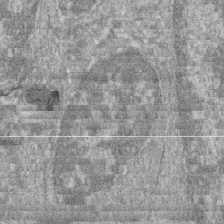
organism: Zebrafish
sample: Cilia; retinal pigment epithelium